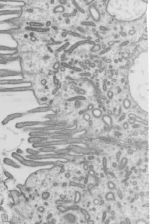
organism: Mouse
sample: Mouse epididymis efferent ductule cilia